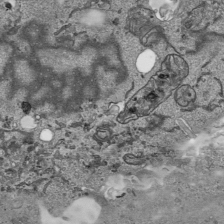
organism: Human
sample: Mitochondria in HCT116 cells